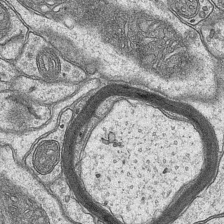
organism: Mouse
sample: CA1 Hippocampus